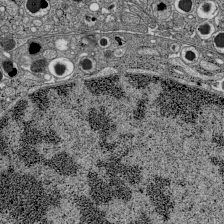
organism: C57BL Mouse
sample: Pancreatic islet